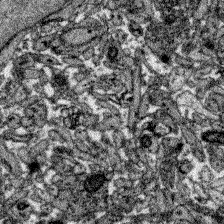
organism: Zebrafish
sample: Larval olfactory bulb